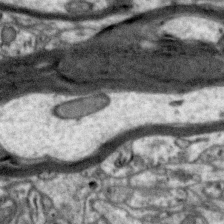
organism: Zebra finch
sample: Brain